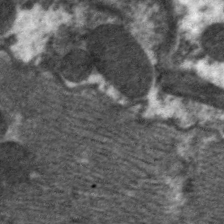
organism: C. elegans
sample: Pharynx